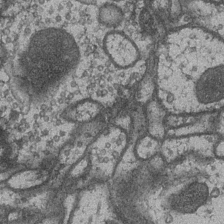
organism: Drosophila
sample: Optic medulla